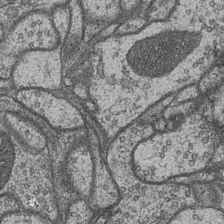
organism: Drosophila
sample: Optic medulla